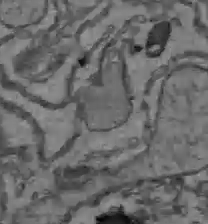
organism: C57BL Mouse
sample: Liver